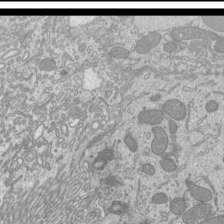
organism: Mouse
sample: Cilia; mouse epididymis